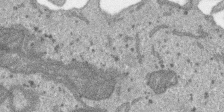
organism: Human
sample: Lung epithelial cells infected with SARS-CoV-2